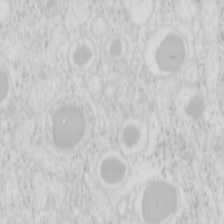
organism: Mouse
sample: Pancreas